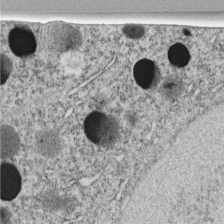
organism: C. elegans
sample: C. elegans embryo early stage